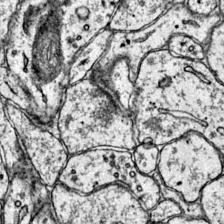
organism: Mouse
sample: Primary visual cortex